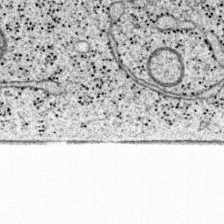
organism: Human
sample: HeLa cells